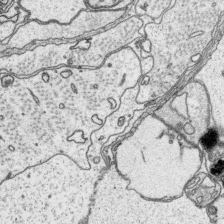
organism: Platynereis dumerilii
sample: Parapodia